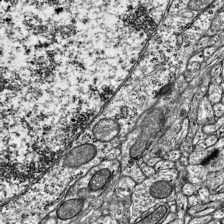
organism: Mouse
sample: Visual Cortex